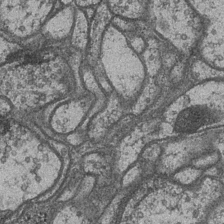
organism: Drosophila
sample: Optic medulla